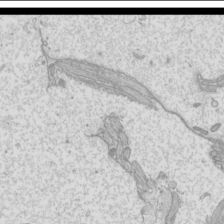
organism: Mouse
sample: Cilia; mouse epididymis